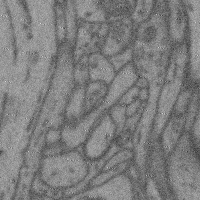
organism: Mouse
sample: Cerebral cortex